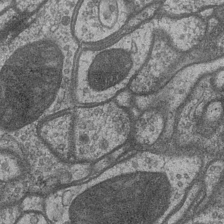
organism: Drosophila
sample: Optic medulla